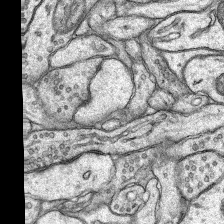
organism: Rat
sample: Hippocampus